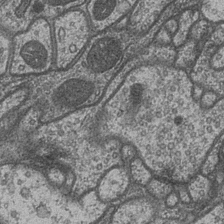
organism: Drosophila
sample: Optic medulla